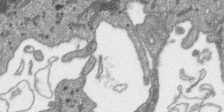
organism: Human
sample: Lung epithelial cells infected with SARS-CoV-2